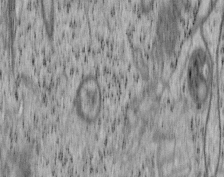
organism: Human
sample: HeLa cells